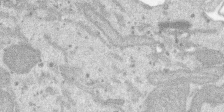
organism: Human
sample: Lung epithelial cells infected with SARS-CoV-2